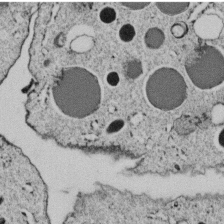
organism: C. elegans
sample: C. elegans embryo early stage